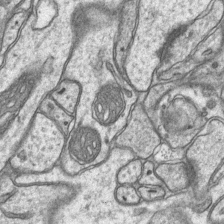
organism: Mouse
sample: CA1 Hippocampus